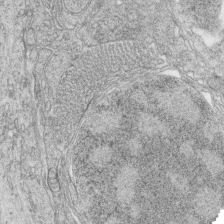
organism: Zebrafish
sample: synaptic ribbons in rod cells and cone cells